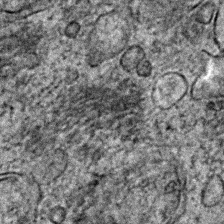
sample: Trachea